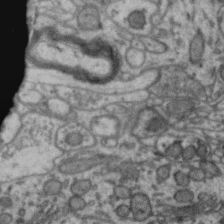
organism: Zebra finch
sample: Brain